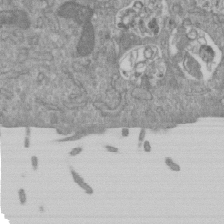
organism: Mouse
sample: ED-1 cell nuclei; centrioles